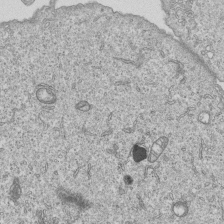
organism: Human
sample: MDA-MB-231 cells